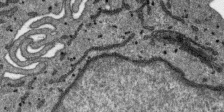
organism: Human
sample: Lung epithelial cells, uninfected (mock) control